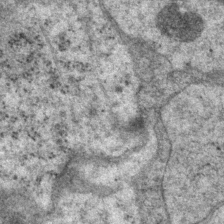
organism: P. pacificus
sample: Pharynx